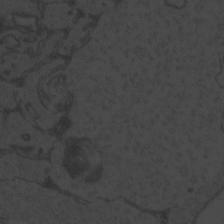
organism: Zebrafish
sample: Macrophage infected with Toxoplasma gondii